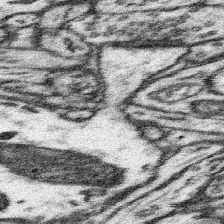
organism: Mouse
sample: Somatosensory cortex neuropil